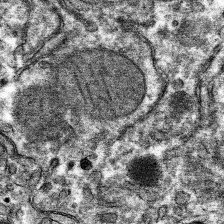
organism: Mouse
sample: Mouse hepatocytes